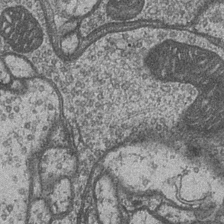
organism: Drosophila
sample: Optic medulla